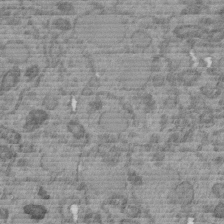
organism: C. elegans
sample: C. elegans embryo early stage